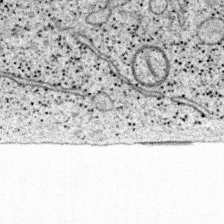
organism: Human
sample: HeLa cells